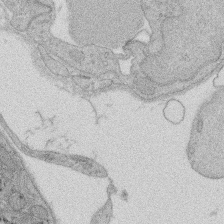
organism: Rat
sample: Salivary granule